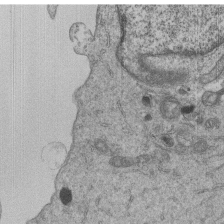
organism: Human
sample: MDA-MB-231 cells